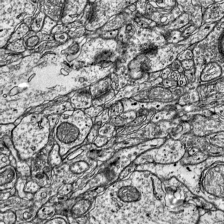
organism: Mouse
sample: Visual Cortex